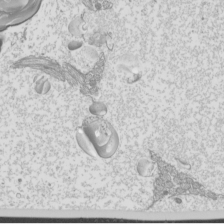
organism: Mouse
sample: Cilia; mouse epididymis